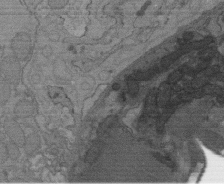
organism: C. elegans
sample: AFD neurons C. elegans